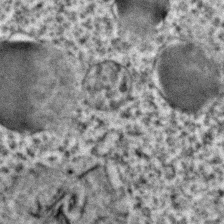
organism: C. elegans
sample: C. elegans embryo